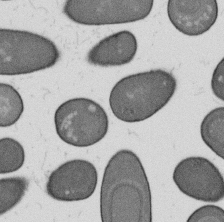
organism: B. subtilis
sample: Bacterial spore